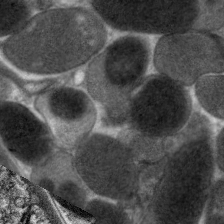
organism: C. elegans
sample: Pharynx